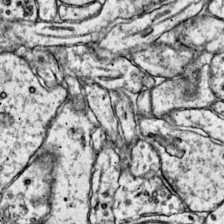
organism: Mouse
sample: Primary visual cortex